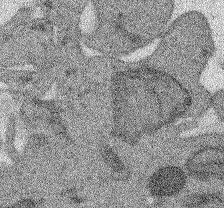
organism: Human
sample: HeLa cells